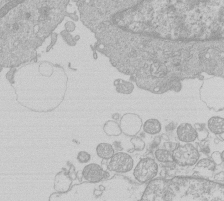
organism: Human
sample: Macrophage cells